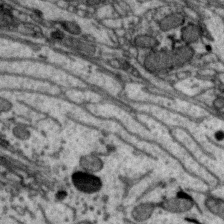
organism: Zebra finch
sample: Brain